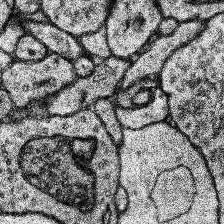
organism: Human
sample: Temporal Lobe